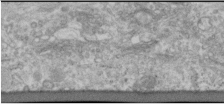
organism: Human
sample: Cilia; basal body in RPE cells